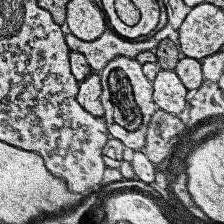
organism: Human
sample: Temporal Lobe